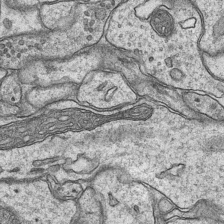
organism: Mouse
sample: CA1 Hippocampus